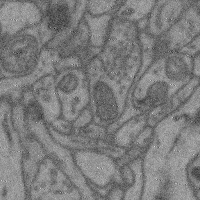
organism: Mouse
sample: Cerebral cortex